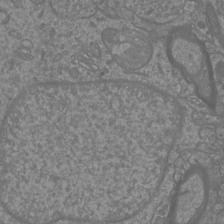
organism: Mouse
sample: Cortical neurons